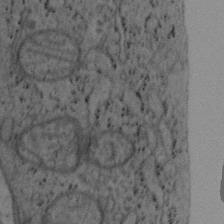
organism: Human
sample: HeLa cells